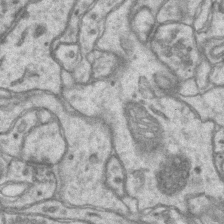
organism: Mouse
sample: CA1 Hippocampus